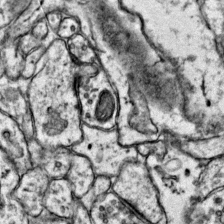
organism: Mouse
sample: Primary visual cortex